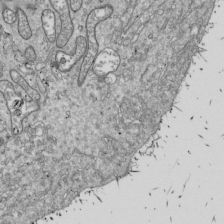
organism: Drosophila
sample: Cell division; meiosis; drosophila spermatocytes